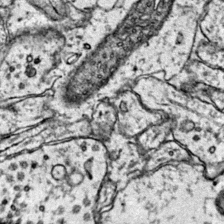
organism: Mouse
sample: Primary visual cortex